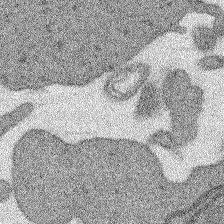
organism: Human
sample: HeLa cells